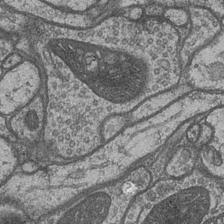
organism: Drosophila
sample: Optic medulla